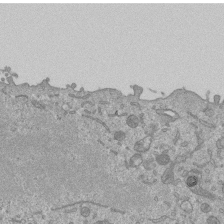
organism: Mouse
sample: ED-1 cell nuclei; centrioles